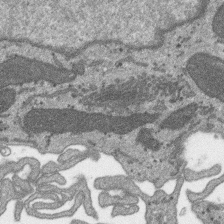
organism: Human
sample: Lung epithelial cells infected with SARS-CoV-2